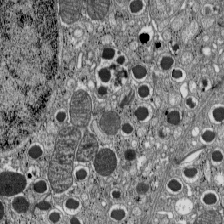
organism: C57BL Mouse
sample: Pancreatic islet